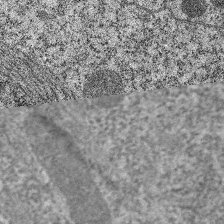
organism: C. elegans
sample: Pharynx